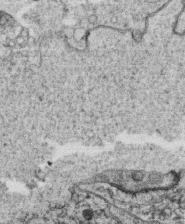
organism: C. elegans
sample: C. elegans oocyte; sperm cells